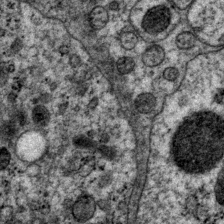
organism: P. pacificus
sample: Pharynx